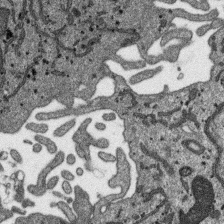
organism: Human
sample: Lung epithelial cells infected with SARS-CoV-2